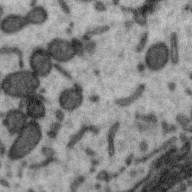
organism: Zebra finch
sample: Brain